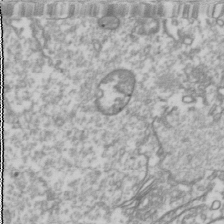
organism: Drosophila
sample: Cell division; meiosis; drosophila spermatocytes